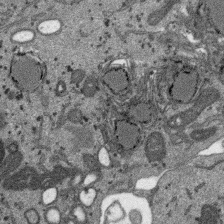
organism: Human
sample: Lung epithelial cells infected with SARS-CoV-2